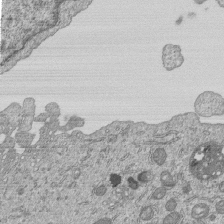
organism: Human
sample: MDA-MB-231 cells